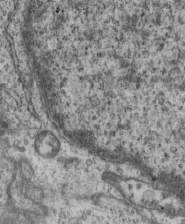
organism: Mouse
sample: Centriole in ependymal cells